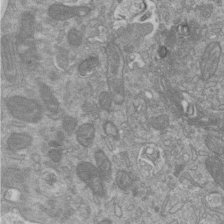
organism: Mouse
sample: ED-1 cell nuclei; centrioles